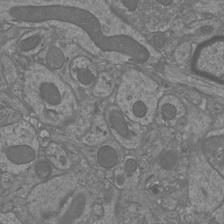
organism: Mouse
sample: Cortical neurons